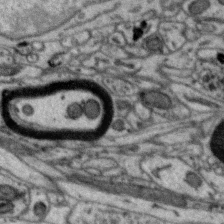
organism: Zebra finch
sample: Brain